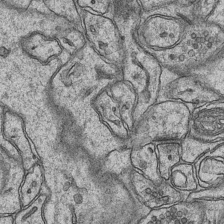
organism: Mouse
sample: CA1 Hippocampus